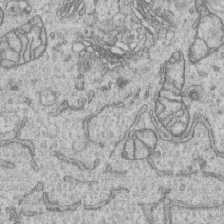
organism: Human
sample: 1205lu cells